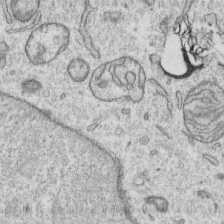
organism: Human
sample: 1205lu cells